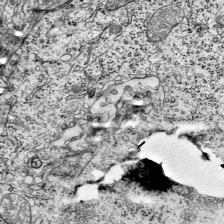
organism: Mouse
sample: Visual Cortex